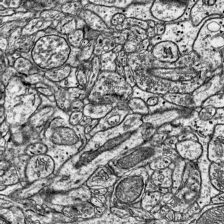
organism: Mouse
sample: Visual Cortex